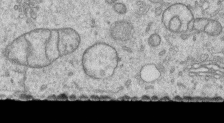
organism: Human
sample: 1205lu cells